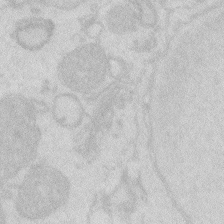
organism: Zebrafish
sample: Macrophage